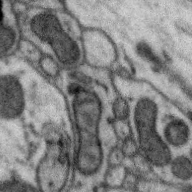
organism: Zebra finch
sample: Brain